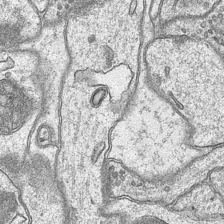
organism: Mouse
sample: CA1 Hippocampus